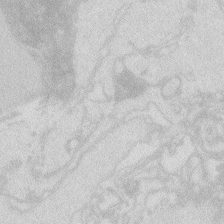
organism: Zebrafish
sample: Macrophage